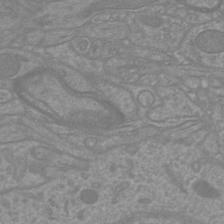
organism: Mouse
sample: Cortical neurons